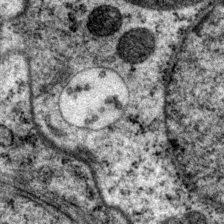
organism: P. pacificus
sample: Pharynx